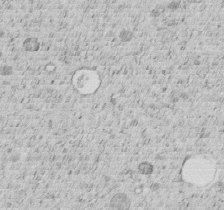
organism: C. elegans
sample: C. elegans embryo early stage